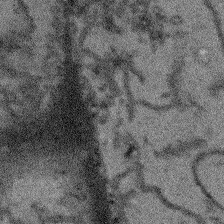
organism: Arabidopsis thaliana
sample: Root tip